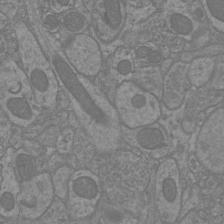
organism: Mouse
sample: Cortical neurons